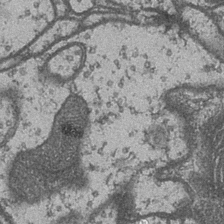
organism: Drosophila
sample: Optic medulla